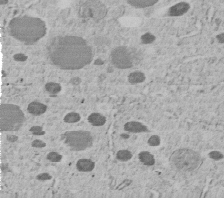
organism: C. elegans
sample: C. elegans embryo early stage